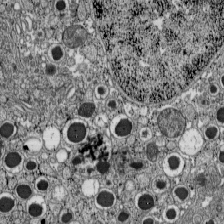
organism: C57BL Mouse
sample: Pancreatic islet